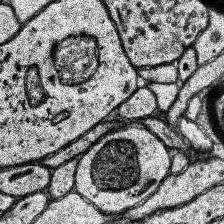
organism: Human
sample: Temporal Lobe